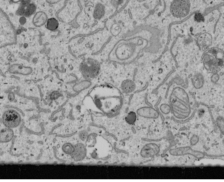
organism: Human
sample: Mitochondria in U2OS cells